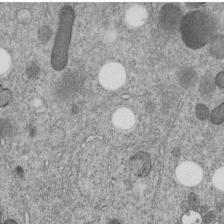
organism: C. elegans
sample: C. elegans embryo early stage